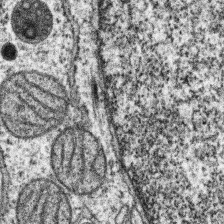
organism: Human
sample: HeLa cells